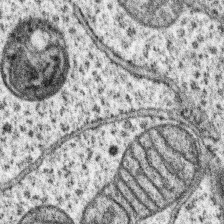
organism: Human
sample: HeLa cells